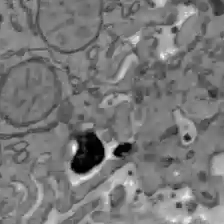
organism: C57BL Mouse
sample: Liver